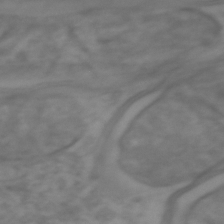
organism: Zebrafish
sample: Zebrafish embryo